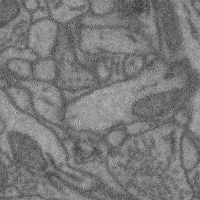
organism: Mouse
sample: Cerebral cortex